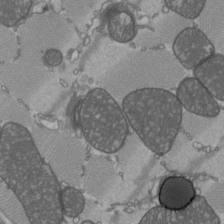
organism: C57BL Mouse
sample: Heart